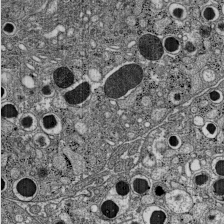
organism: C57BL Mouse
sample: Pancreatic islet